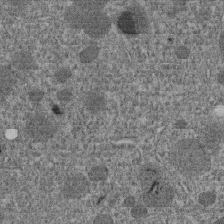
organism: C. elegans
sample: C. elegans embryo early stage